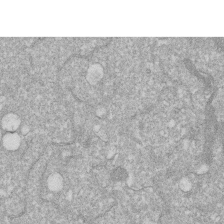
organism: Human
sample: HIV infected U937 cells